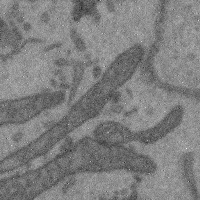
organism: Mouse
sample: Cerebral cortex